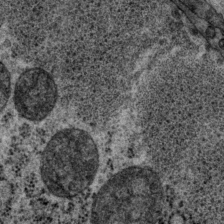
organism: P. pacificus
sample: Pharynx